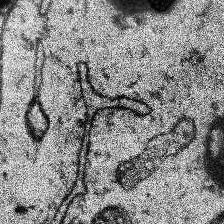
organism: Human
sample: Temporal Lobe